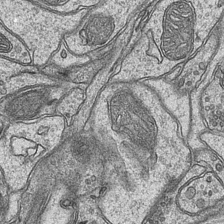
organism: Mouse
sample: CA1 Hippocampus